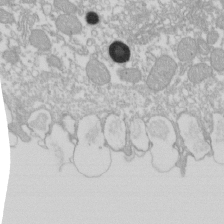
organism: Xenopus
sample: Cilia; centrioles in frog embryo cells